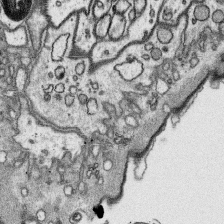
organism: Platynereis dumerilii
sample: Parapodia